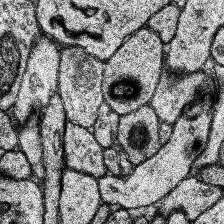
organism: Human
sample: Temporal Lobe